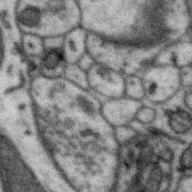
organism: Zebra finch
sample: Brain